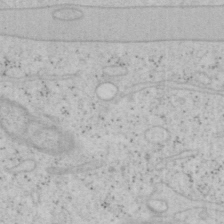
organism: Human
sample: HeLa cells